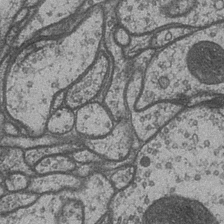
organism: Drosophila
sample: Optic medulla